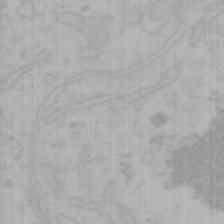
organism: Mouse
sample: Choroid plexus